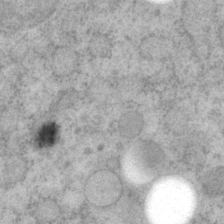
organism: P. pacificus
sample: Pharynx